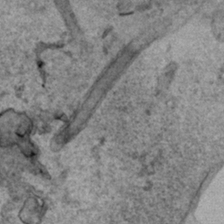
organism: Human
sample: Mitochondria in HCT116 cells